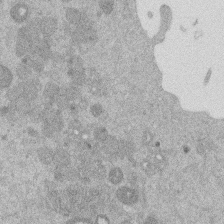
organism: Mouse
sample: Dividing mouse embryo 1 cell stage